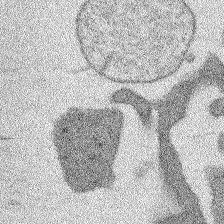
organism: Human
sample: HeLa cells